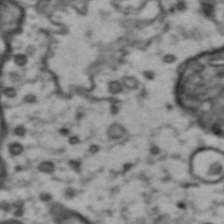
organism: Drosophila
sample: Brain